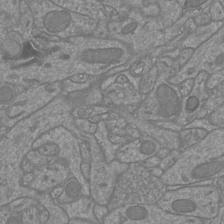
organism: Mouse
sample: Cortical neurons